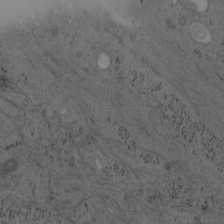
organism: Mouse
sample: OT-I killer T cells with ID8 ovarian cancer cells